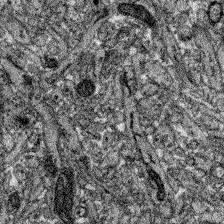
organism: Zebrafish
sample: Larval olfactory bulb